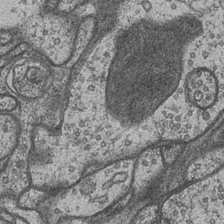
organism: Drosophila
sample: Optic medulla